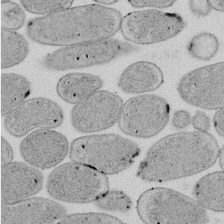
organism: E. coli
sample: Bacterial nucleoid